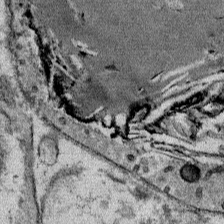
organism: Mouse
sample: Mouse Salivary gland